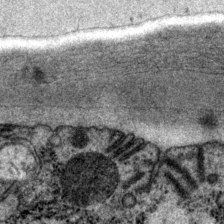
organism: P. pacificus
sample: Pharynx